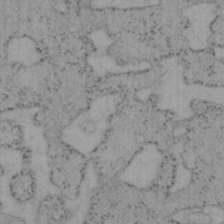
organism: Mouse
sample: OT-I killer T cells with ID8 ovarian cancer cells